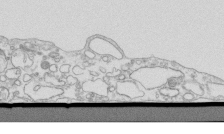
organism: Mouse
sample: Macrophages